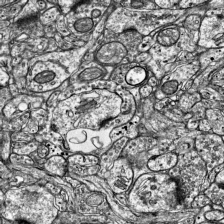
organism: Mouse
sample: Visual Cortex